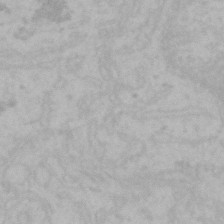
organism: Mouse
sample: Choroid plexus